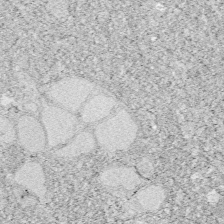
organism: Zebrafish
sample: Whole-Brain